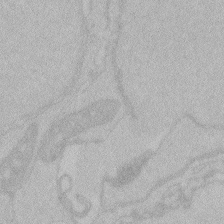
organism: Zebrafish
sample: Macrophage infected with Toxoplasma gondii